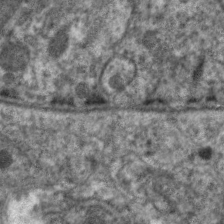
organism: C. elegans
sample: Pharynx